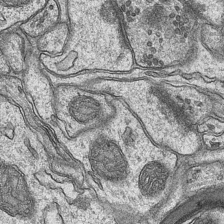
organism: Mouse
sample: CA1 Hippocampus